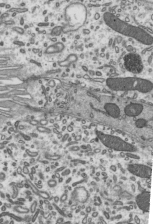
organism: Mouse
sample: Mouse epididymis efferent ductule cilia